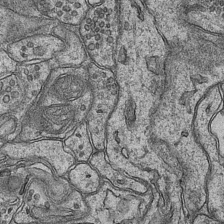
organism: Mouse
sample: CA1 Hippocampus